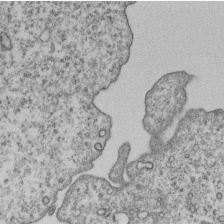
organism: Human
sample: MDA-MB-231 cells